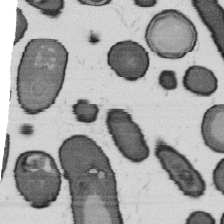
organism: B. subtilis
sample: Bacterial spore